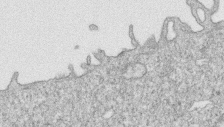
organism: Human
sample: HeLa cell HIV synapse